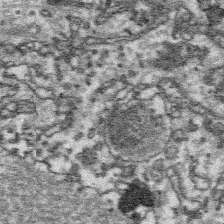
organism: Platynereis dumerilii